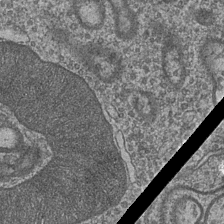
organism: Drosophila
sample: Optic medulla